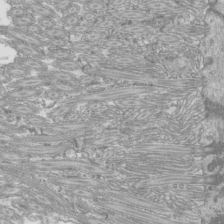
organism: Mouse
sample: Cilia; mouse epididymis